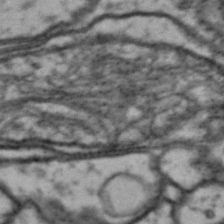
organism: Drosophila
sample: Brain